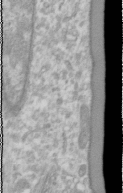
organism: Human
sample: Cilia; basal body in RPE cells